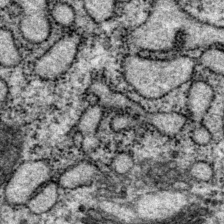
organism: P. pacificus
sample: Pharynx